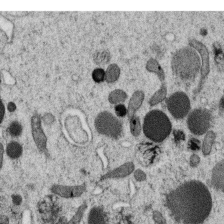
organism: C. elegans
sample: C. elegans oocyte; sperm cells